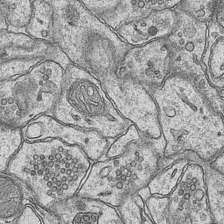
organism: Mouse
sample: CA1 Hippocampus